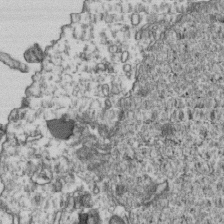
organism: Human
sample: Activated Jurkat CD4+ T cells